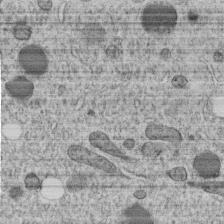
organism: C. elegans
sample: C. elegans embryo early stage